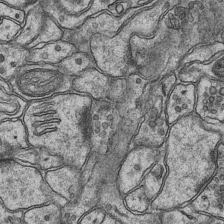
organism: Mouse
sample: CA1 Hippocampus